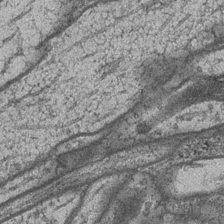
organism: Drosophila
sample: Optic medulla